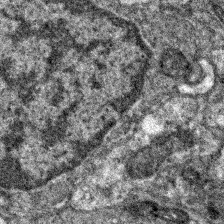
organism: Zebrafish